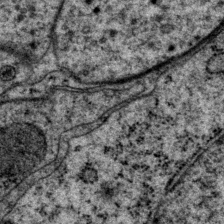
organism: P. pacificus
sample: Pharynx